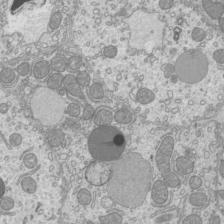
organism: Mouse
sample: Cilia; mouse epididymis